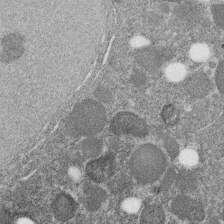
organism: C. elegans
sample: C. elegans embryo early stage